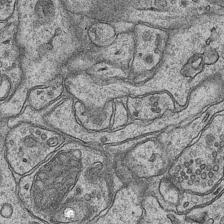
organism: Mouse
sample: CA1 Hippocampus